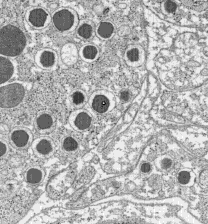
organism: C57BL Mouse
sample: Pancreatic islet